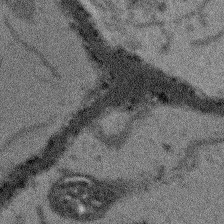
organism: Arabidopsis thaliana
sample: Root tip